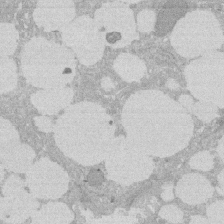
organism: Rat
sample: Salivary granule